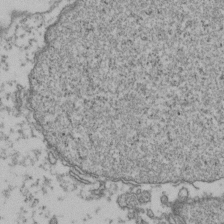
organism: Human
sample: Activated Jurkat CD4+ T cells